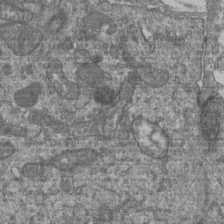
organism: Human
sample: Retinal organoid Rod and Cone cells